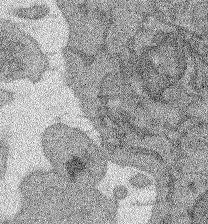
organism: Human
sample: HeLa cells